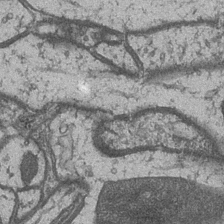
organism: Drosophila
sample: Optic medulla